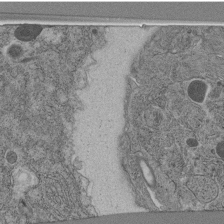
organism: C. elegans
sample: C. elegans pharynx